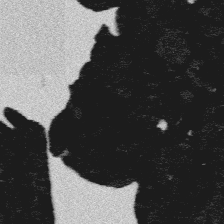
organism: Platynereis dumerilii